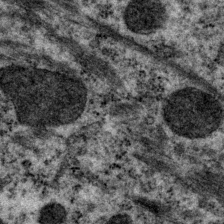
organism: P. pacificus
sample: Pharynx